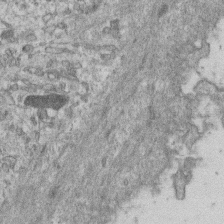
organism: Mouse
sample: Centriole in ependymal cells